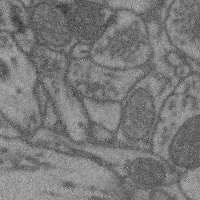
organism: Mouse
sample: Cerebral cortex